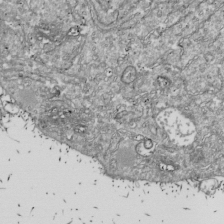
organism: Drosophila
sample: Cell division; meiosis; drosophila spermatocytes